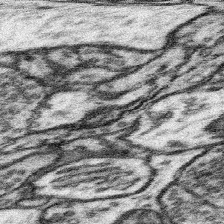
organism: Mouse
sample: Somatosensory cortex neuropil